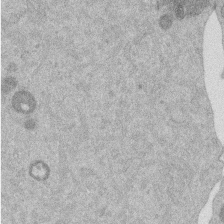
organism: Mouse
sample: Dividing mouse embryo 1 cell stage